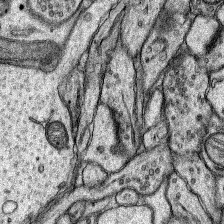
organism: Rat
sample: Hippocampus